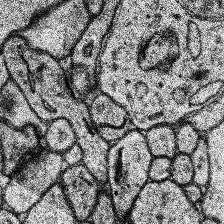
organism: Human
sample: Temporal Lobe